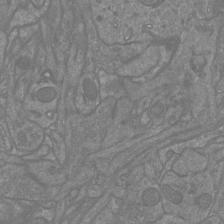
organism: Mouse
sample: Cortical neurons